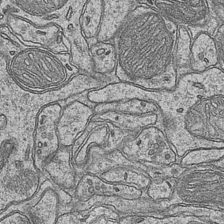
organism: Mouse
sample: CA1 Hippocampus